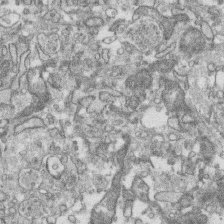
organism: Human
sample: CRL-1474